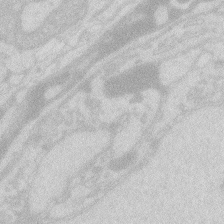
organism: Zebrafish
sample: Macrophage